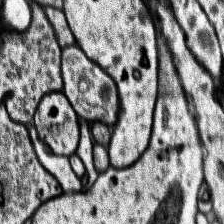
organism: Human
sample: Temporal Lobe